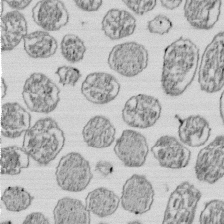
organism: E. coli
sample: Bacterial nucleoid